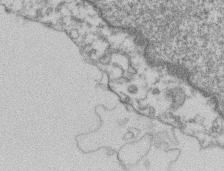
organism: Mouse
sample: T cell stromal cell synapse